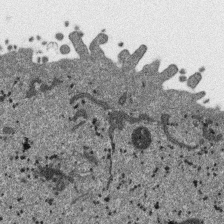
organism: Human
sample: Lung epithelial cells infected with SARS-CoV-2